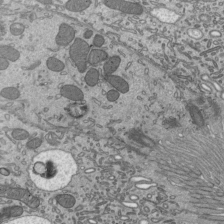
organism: Mouse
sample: Mouse epididymis efferent ductule cilia